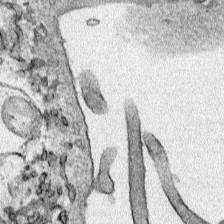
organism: Human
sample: Mitochondria in HCT116 cells